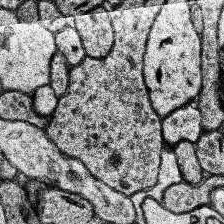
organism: Human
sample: Temporal Lobe